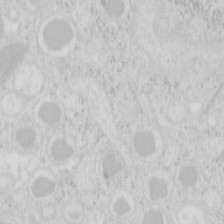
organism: Mouse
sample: Pancreas